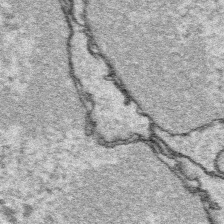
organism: Platynereis dumerilii